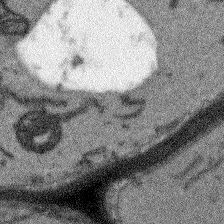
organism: Arabidopsis thaliana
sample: Root tip